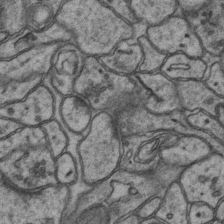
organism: Mouse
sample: CA1 Hippocampus